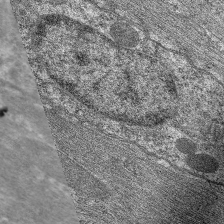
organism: C. elegans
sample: Pharynx